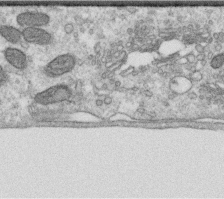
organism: Human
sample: Centriole in RPE cells